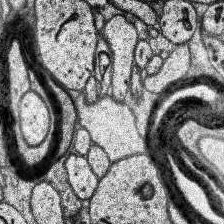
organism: Human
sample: Temporal Lobe